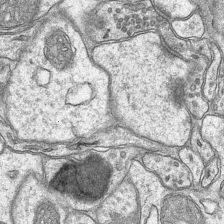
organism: Mouse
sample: CA1 Hippocampus